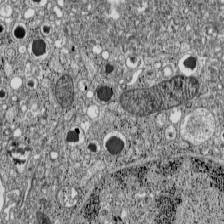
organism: C57BL Mouse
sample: Pancreatic islet